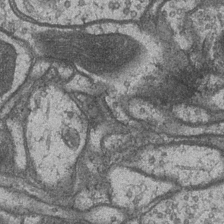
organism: Drosophila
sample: Optic medulla